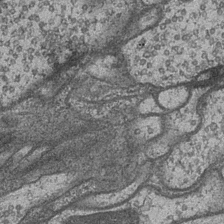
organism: Drosophila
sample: Optic medulla